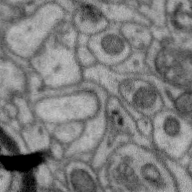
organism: Zebra finch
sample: Brain